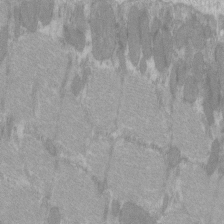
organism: C57BL Mouse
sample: Tibialis anterior muscle cell